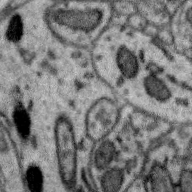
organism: Zebra finch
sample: Brain